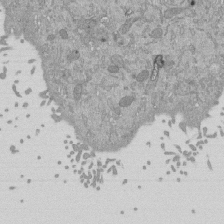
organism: Mouse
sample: ED-1 cell nuclei; centrioles